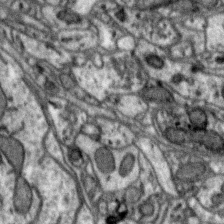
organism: Zebra finch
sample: Brain